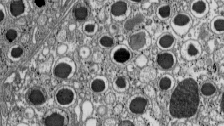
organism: C57BL Mouse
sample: Pancreatic islet